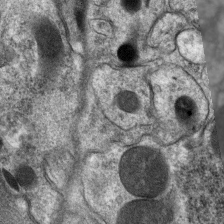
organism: C. elegans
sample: Pharynx